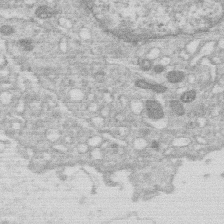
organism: Human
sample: Macrophage cells